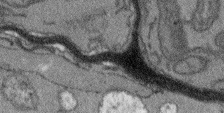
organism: Arabidopsis thaliana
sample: Root tip